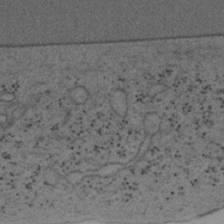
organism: Human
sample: HeLa cells